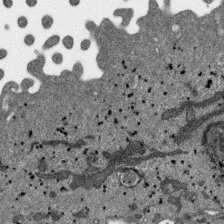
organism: Human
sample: Lung epithelial cells, uninfected (mock) control